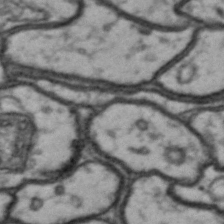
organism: Drosophila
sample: Brain